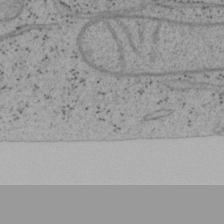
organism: Human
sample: HeLa cells